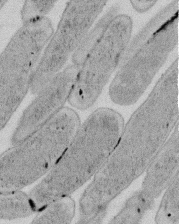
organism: E. coli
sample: Bacterial nucleoid